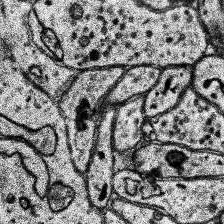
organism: Human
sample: Temporal Lobe